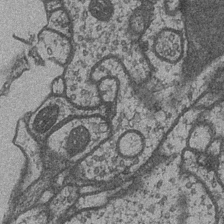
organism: Drosophila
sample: Optic medulla